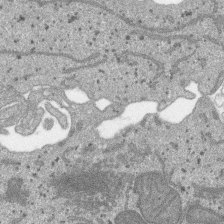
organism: Human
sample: Lung epithelial cells infected with SARS-CoV-2